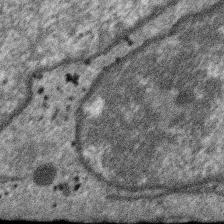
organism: Human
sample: Lung epithelial cells infected with SARS-CoV-2